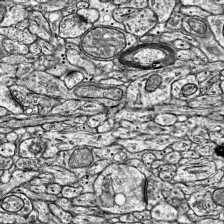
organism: Mouse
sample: Visual Cortex